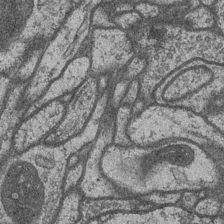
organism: Drosophila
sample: Optic medulla